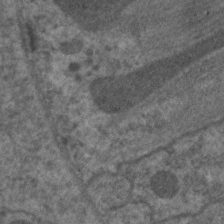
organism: C. elegans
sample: Pharynx